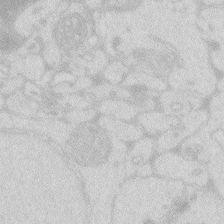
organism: Zebrafish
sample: Macrophage